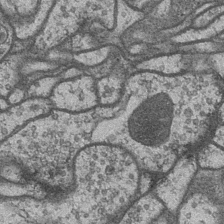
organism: Drosophila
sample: Optic medulla